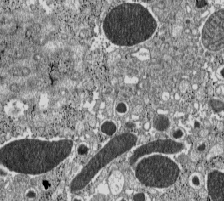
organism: C57BL Mouse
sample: Pancreatic islet